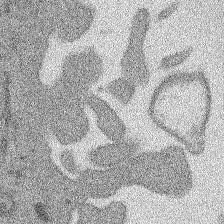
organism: Human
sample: HeLa cells